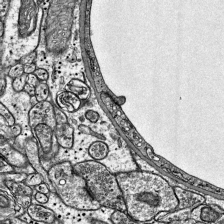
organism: Mouse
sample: Visual Cortex